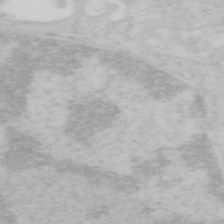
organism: Mouse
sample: OT-I killer T cells with ID8 ovarian cancer cells